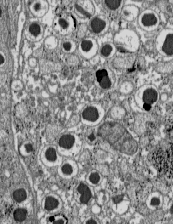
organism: C57BL Mouse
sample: Pancreatic islet